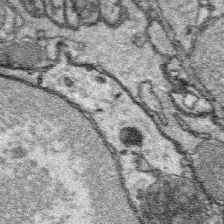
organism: Platynereis dumerilii